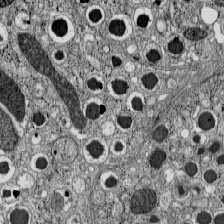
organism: C57BL Mouse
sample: Pancreatic islet